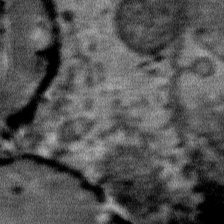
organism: Mouse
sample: Mouse Salivary gland